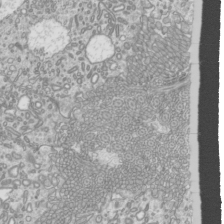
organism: Mouse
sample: Cilia; mouse epididymis